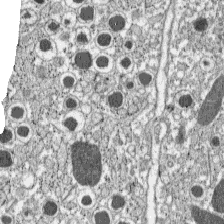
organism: C57BL Mouse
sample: Pancreatic islet